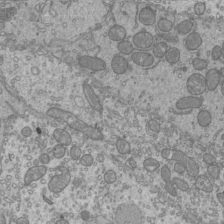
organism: Mouse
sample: Cilia; mouse epididymis